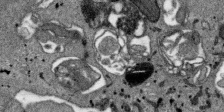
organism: Human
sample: Lung epithelial cells, uninfected (mock) control